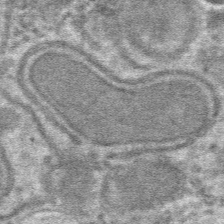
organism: Mouse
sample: Mouse hepatocytes